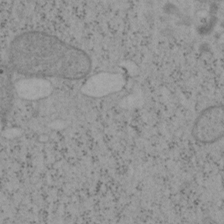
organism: Mouse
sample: OT-I killer T cells with ID8 ovarian cancer cells